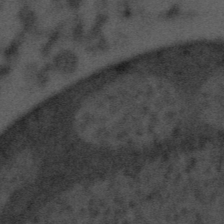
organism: Tuwongella immobilis